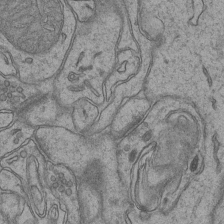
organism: Mouse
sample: CA1 Hippocampus